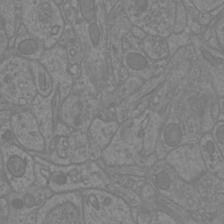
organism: Mouse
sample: Cortical neurons